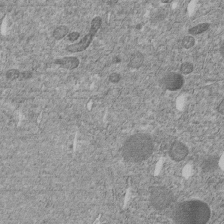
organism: C. elegans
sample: C. elegans embryo early stage